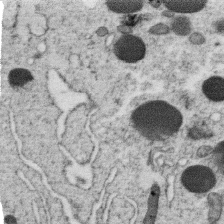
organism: C. elegans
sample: C. elegans oocyte; sperm cells